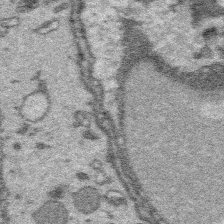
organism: Platynereis dumerilii